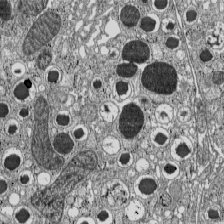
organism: C57BL Mouse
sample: Pancreatic islet